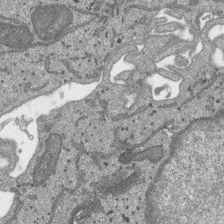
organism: Human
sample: Lung epithelial cells infected with SARS-CoV-2